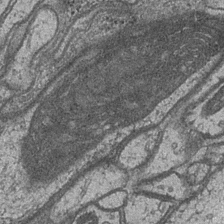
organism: Drosophila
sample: Optic medulla